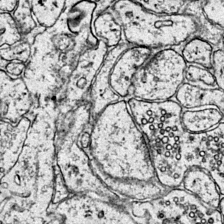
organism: Mouse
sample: Primary visual cortex